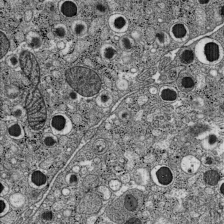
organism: C57BL Mouse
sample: Pancreatic islet